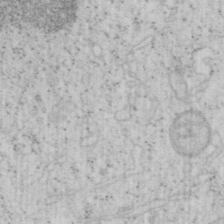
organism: Human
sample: HeLa cells